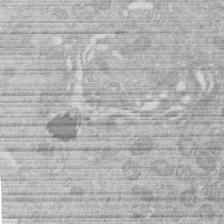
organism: Human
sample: Macrophage cells